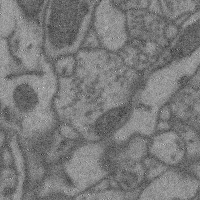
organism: Mouse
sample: Cerebral cortex